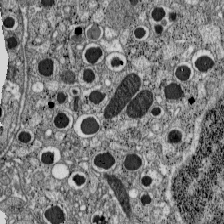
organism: C57BL Mouse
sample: Pancreatic islet